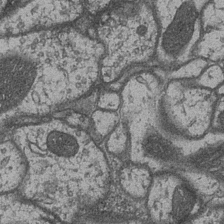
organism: Drosophila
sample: Optic medulla